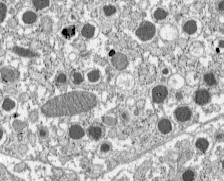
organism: C57BL Mouse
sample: Pancreatic islet